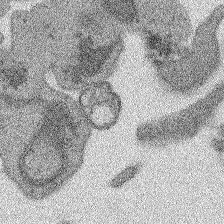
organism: Human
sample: HeLa cells